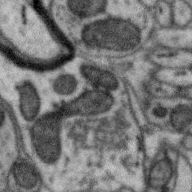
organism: Zebra finch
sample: Brain